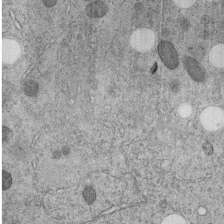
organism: C. elegans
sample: C. elegans embryo early stage